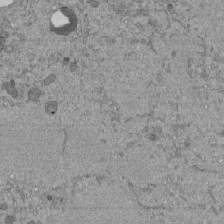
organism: Mouse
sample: ED-1 cell nuclei; centrioles